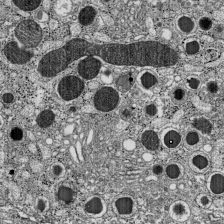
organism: C57BL Mouse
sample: Pancreatic islet